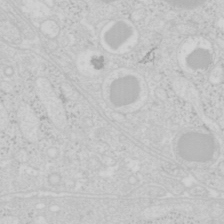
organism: Mouse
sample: Pancreas